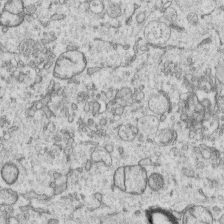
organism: Human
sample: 1205lu cells